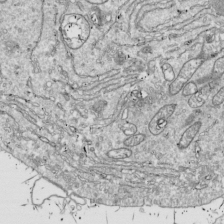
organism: Drosophila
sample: Cell division; meiosis; drosophila spermatocytes